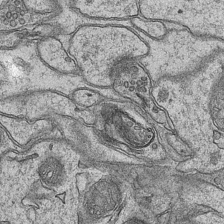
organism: Mouse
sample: CA1 Hippocampus